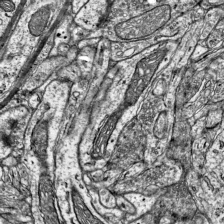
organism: Mouse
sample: Visual Cortex